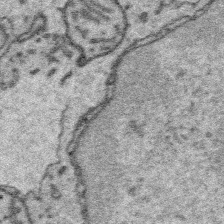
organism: Platynereis dumerilii